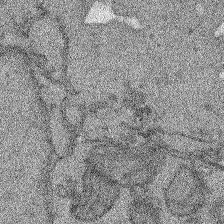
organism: Human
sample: HeLa cells